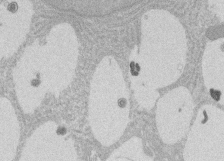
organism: Rat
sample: Salivary granule